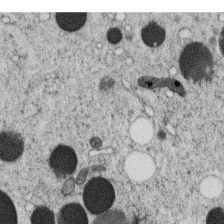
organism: C. elegans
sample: C. elegans oocyte; sperm cells